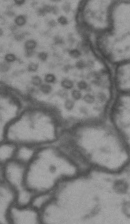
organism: Drosophila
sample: Brain